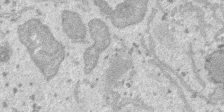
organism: Human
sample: Lung epithelial cells infected with SARS-CoV-2